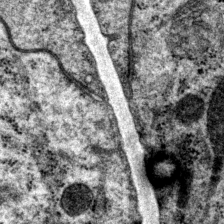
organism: P. pacificus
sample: Pharynx